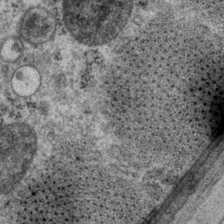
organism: P. pacificus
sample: Pharynx